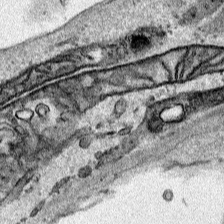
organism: Human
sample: Mitochondria in HCT116 cells